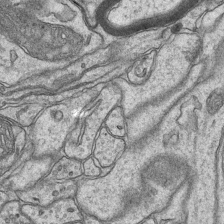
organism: Mouse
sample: CA1 Hippocampus